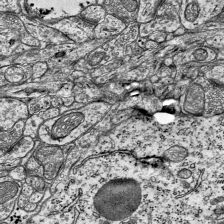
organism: Mouse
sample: Visual Cortex